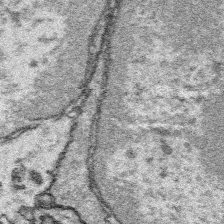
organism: Platynereis dumerilii